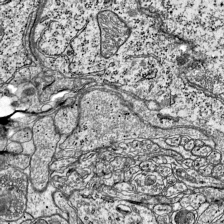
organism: Mouse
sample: Visual Cortex